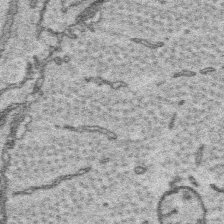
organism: Platynereis dumerilii